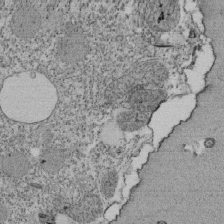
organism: Tetrahymena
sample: Cilia in tetrahymena